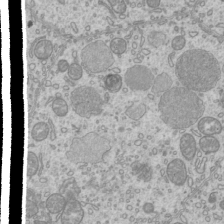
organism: Mouse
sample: Cilia; mouse epididymis